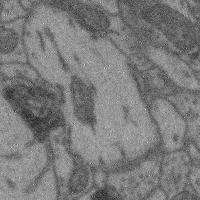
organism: Mouse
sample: Cerebral cortex